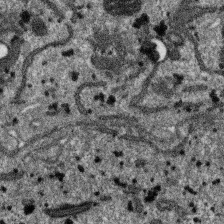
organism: Human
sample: Lung epithelial cells infected with SARS-CoV-2